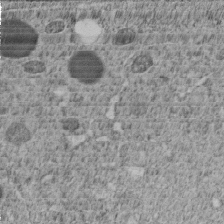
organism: C. elegans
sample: C. elegans embryo early stage